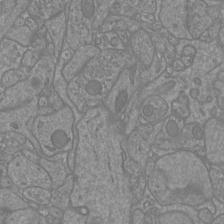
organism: Mouse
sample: Cortical neurons